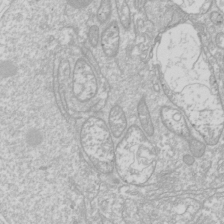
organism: Drosophila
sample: Cell division; meiosis; drosophila spermatocytes